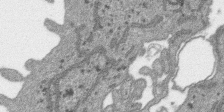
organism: Human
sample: Lung epithelial cells infected with SARS-CoV-2